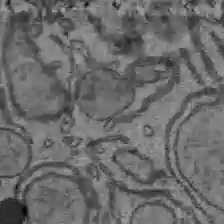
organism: C57BL Mouse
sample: Liver